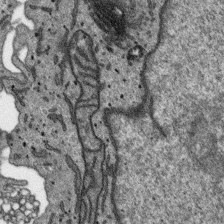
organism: Human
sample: Lung epithelial cells, uninfected (mock) control